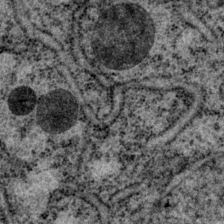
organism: P. pacificus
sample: Pharynx